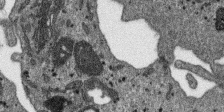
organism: Human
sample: Lung epithelial cells infected with SARS-CoV-2